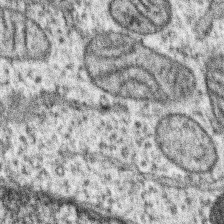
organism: Human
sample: HeLa cells